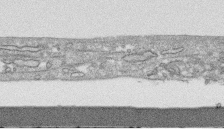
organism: Human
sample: CRL-1474